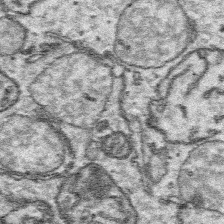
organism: Platynereis dumerilii